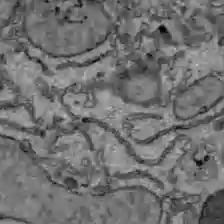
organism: C57BL Mouse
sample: Liver